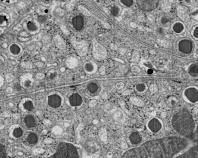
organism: C57BL Mouse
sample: Pancreatic islet